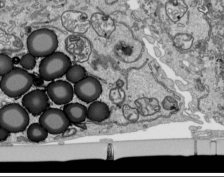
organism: Human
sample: Mitochondria in HCT116 cells